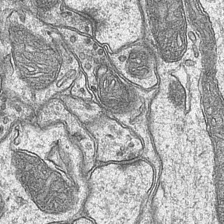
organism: Mouse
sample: CA1 Hippocampus